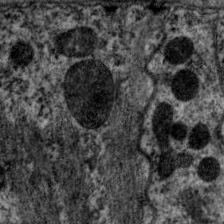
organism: C. elegans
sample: Pharynx